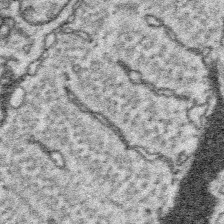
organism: Platynereis dumerilii